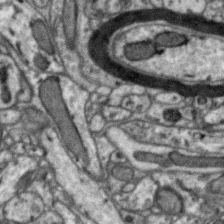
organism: Zebra finch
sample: Brain